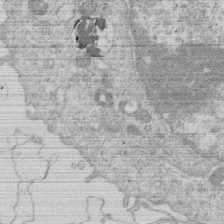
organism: Human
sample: Macrophage cells